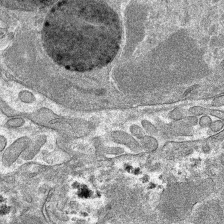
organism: Mouse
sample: Mouse hepatocytes